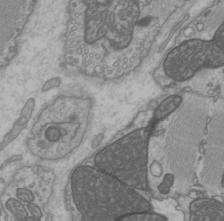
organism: C57BL Mouse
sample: Heart